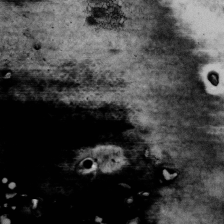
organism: Human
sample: U2-OS cells